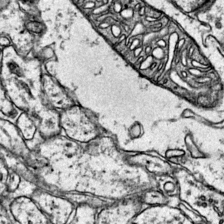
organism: Mouse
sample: Primary visual cortex